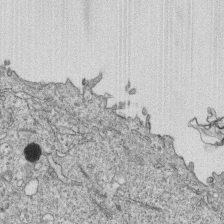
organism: Human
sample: HeLa cell HIV synapse